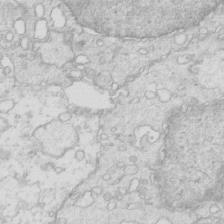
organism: Mouse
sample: Multiciliated cells